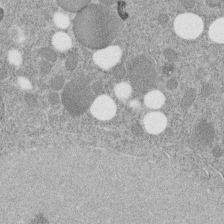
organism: C. elegans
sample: C. elegans embryo early stage